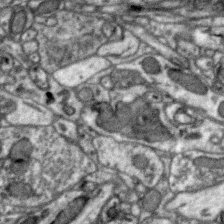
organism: Zebra finch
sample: Brain